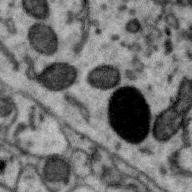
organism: Zebra finch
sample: Brain